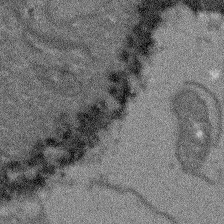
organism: Arabidopsis thaliana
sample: Root tip